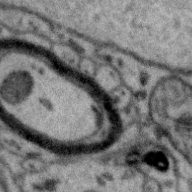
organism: Zebra finch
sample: Brain